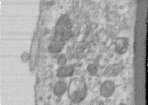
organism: Human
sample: Centriole in RPE cells